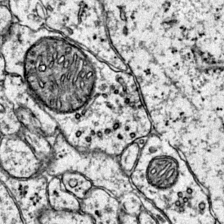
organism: Mouse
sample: Primary visual cortex